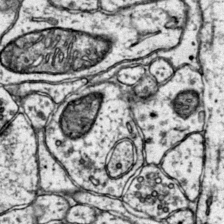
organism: Mouse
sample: Primary visual cortex